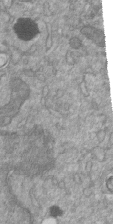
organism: Mouse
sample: ED-1 cell nuclei; centrioles